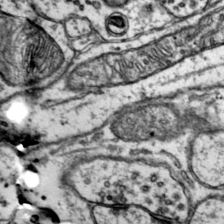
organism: Mouse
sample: Primary visual cortex